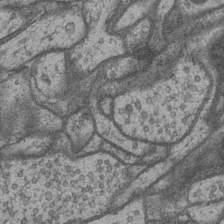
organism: Drosophila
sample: Optic medulla